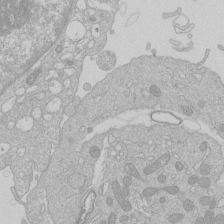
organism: Human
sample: Macrophage cells